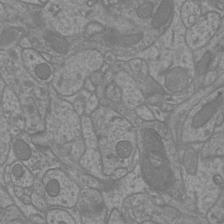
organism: Mouse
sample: Cortical neurons